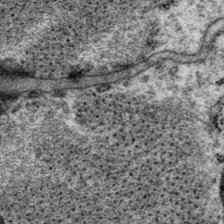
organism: P. pacificus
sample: Pharynx